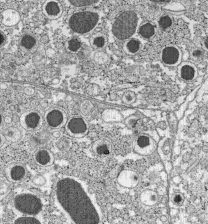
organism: C57BL Mouse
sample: Pancreatic islet